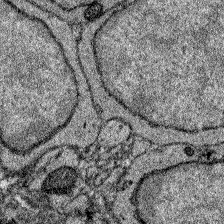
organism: Zebrafish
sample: Larval olfactory bulb